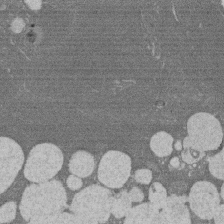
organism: Rat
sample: Salivary granule